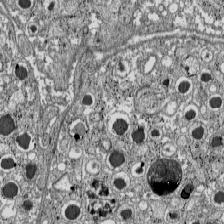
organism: C57BL Mouse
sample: Pancreatic islet